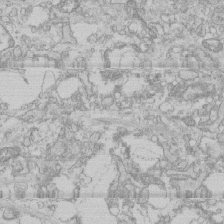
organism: Human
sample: CRL-1474